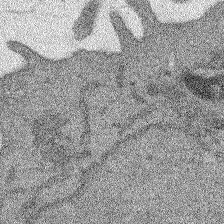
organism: Human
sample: HeLa cells